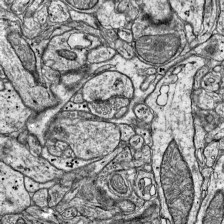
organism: Mouse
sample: Visual Cortex